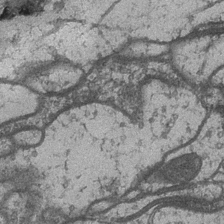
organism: Drosophila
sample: Optic medulla